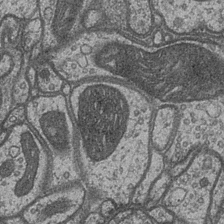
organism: Drosophila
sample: Optic medulla